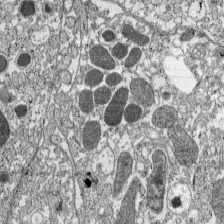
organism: C57BL Mouse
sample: Pancreatic islet